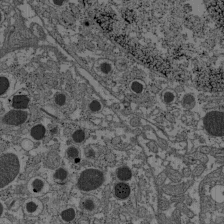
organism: C57BL Mouse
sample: Pancreatic islet